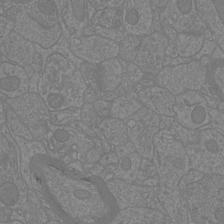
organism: Mouse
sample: Cortical neurons